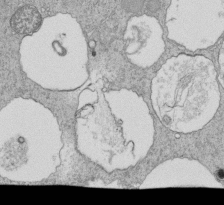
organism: Tetrahymena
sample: Cilia in tetrahymena